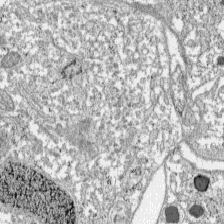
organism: C57BL Mouse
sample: Pancreatic islet